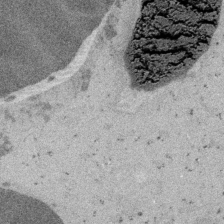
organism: Embia sp.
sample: Silk gland